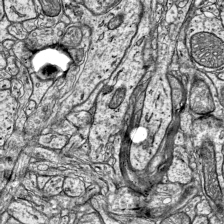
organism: Mouse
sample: Visual Cortex